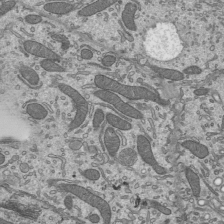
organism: Mouse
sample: Mouse epididymis efferent ductule cilia